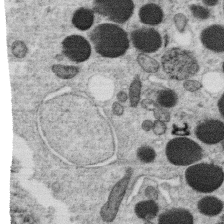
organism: C. elegans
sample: C. elegans oocyte; sperm cells